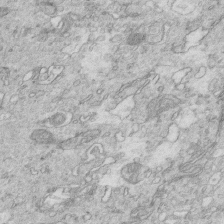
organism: Mouse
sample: Multiciliated cells